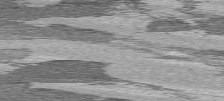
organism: C57BL Mouse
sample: Heart